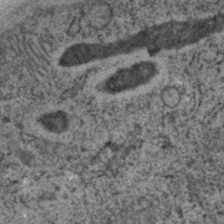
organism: C. elegans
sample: C. elegans embryo